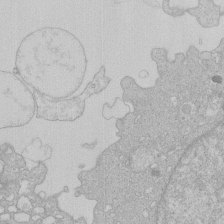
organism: Human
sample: Macrophage cells